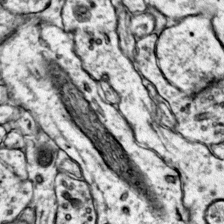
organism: Mouse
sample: Primary visual cortex